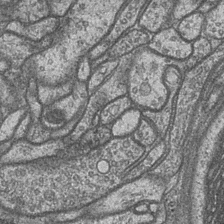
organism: Drosophila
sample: Optic medulla